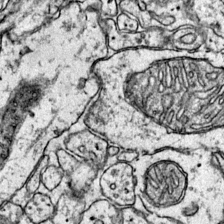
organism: Mouse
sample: Primary visual cortex